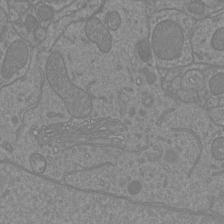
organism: Mouse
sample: Cortical neurons